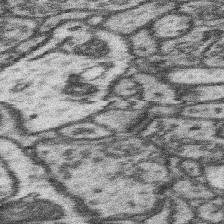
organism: Mouse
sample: Somatosensory cortex neuropil